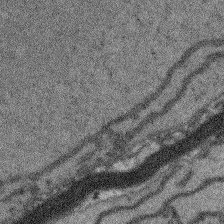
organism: Arabidopsis thaliana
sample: Root tip